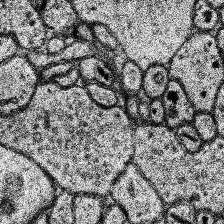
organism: Human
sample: Temporal Lobe